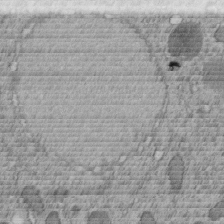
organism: C. elegans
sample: C. elegans embryo early stage